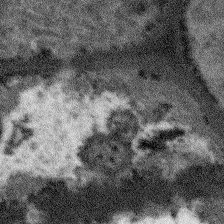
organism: Arabidopsis thaliana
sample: Root tip